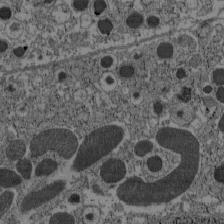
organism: C57BL Mouse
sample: Pancreatic islet